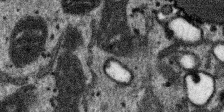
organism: Human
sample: Lung epithelial cells infected with SARS-CoV-2